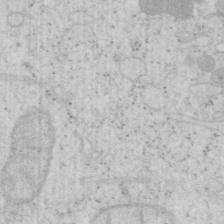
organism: Human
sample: HeLa cells